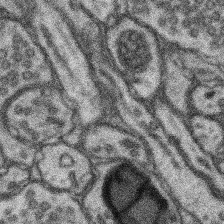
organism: Mouse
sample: Somatosensory cortex neuropil